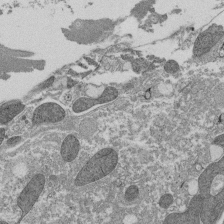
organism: Tetrahymena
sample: Cilia in tetrahymena